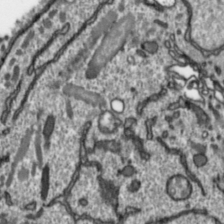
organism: Toxoplasma gondii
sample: Parasites in a vacuole inside a host cell